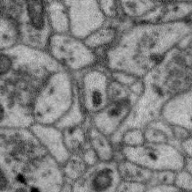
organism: Zebra finch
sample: Brain